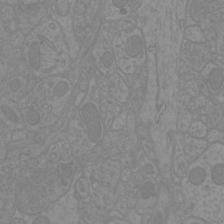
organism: Mouse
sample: Cortical neurons